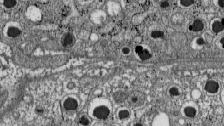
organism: C57BL Mouse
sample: Pancreatic islet